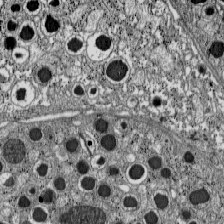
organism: C57BL Mouse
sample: Pancreatic islet